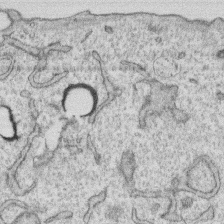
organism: Human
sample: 1205lu cells